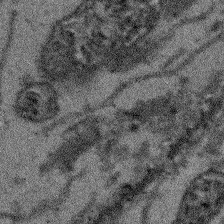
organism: Arabidopsis thaliana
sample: Root tip